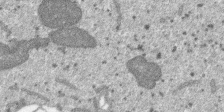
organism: Human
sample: Lung epithelial cells infected with SARS-CoV-2